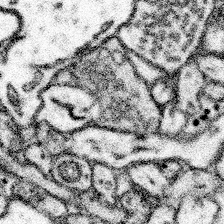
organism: Mouse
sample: Somatosensory cortex neuropil